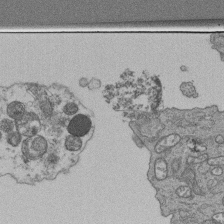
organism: Human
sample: Retinal organoid Rod and Cone cells